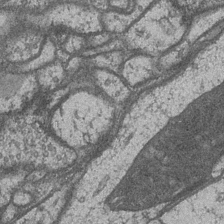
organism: Drosophila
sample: Optic medulla